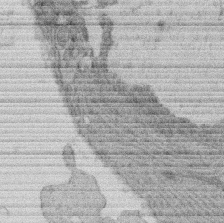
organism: Rat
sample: Salivary granule